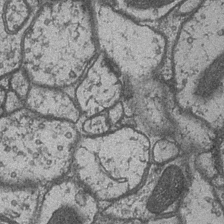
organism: Drosophila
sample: Optic medulla